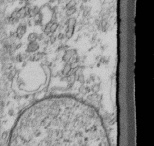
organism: Mouse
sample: Cilia; retinal pigment epithelium